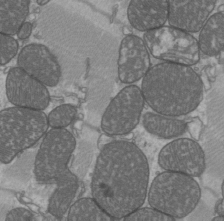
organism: C57BL Mouse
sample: Heart